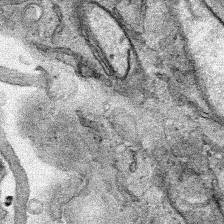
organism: Human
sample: Mitochondria in HCT116 cells